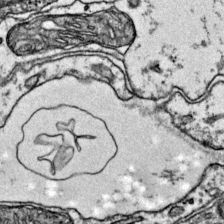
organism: Mouse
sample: Primary visual cortex